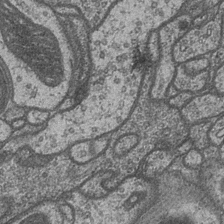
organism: Drosophila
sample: Optic medulla